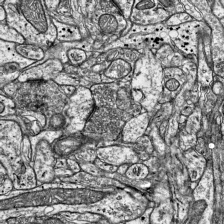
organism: Mouse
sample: Visual Cortex